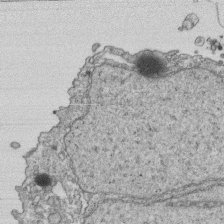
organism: Human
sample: HeLa cell HIV synapse